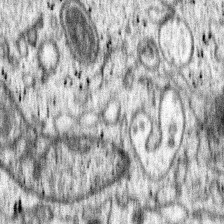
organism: Human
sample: HeLa cells